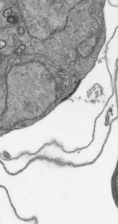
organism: Plasmodium falciparum